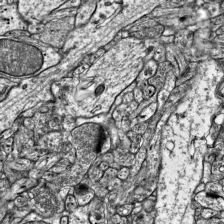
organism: Mouse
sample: Visual Cortex